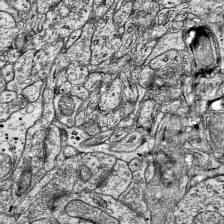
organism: Mouse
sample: Visual Cortex